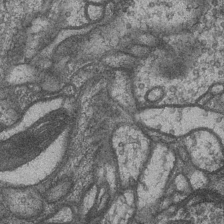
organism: Drosophila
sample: Optic medulla